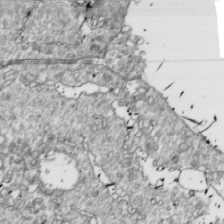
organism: Drosophila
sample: Cell division; meiosis; drosophila spermatocytes